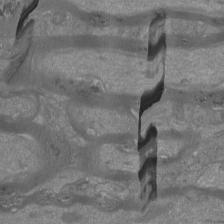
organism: Mouse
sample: Cortical neurons